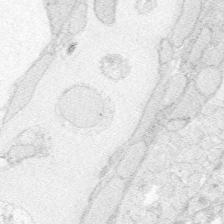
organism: Zebrafish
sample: Whole-Brain